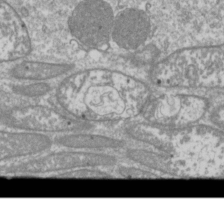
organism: Drosophila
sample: Cell division; meiosis; drosophila spermatocytes